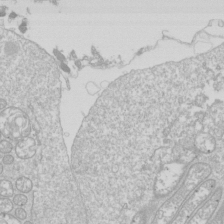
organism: Drosophila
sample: Cell division; meiosis; drosophila spermatocytes